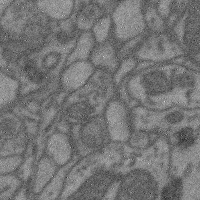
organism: Mouse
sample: Cerebral cortex